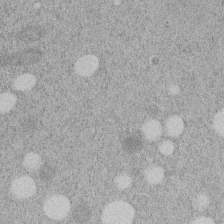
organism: C. elegans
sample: C. elegans embryo early stage